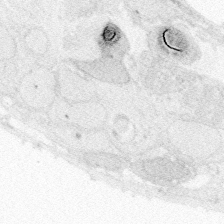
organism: Zebrafish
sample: Whole-Brain